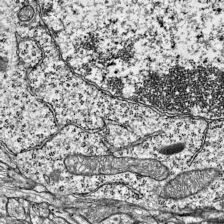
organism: Mouse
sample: Visual Cortex